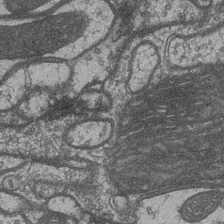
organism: Drosophila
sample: Optic medulla